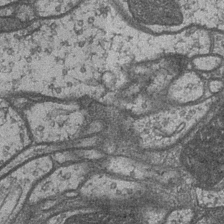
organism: Drosophila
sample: Optic medulla